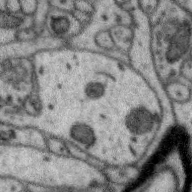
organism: Zebra finch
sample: Brain